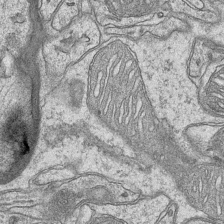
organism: Mouse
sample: CA1 Hippocampus